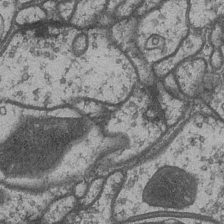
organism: Drosophila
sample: Optic medulla